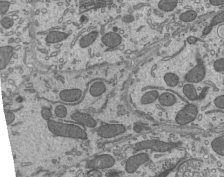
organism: Mouse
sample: Mouse epididymis efferent ductule cilia